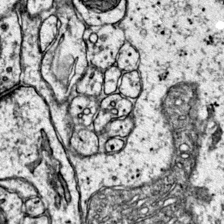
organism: Mouse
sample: Primary visual cortex